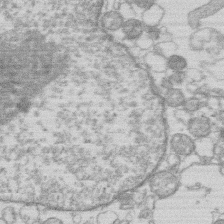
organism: Human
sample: Macrophage cells